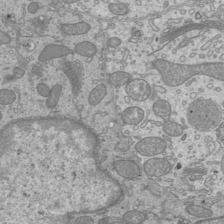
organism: Mouse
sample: Cilia; mouse epididymis